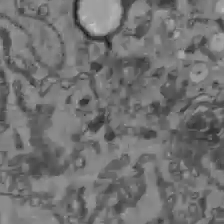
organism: C57BL Mouse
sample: Liver